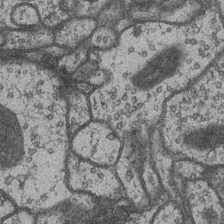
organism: Drosophila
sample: Optic medulla